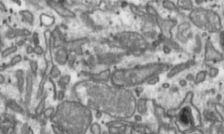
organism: Toxoplasma gondii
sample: Parasites in a vacuole inside a host cell